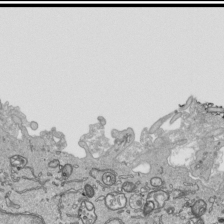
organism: Human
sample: Mitochondria in HCT116 cells